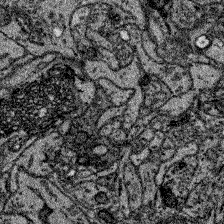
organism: Zebrafish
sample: Larval olfactory bulb